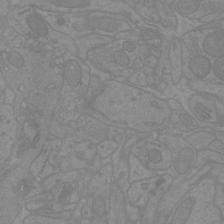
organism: Mouse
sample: Cortical neurons